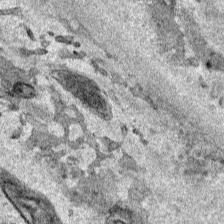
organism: Human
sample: Mitochondria in HCT116 cells